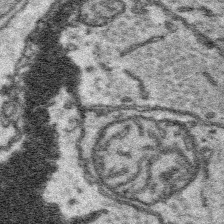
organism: Platynereis dumerilii